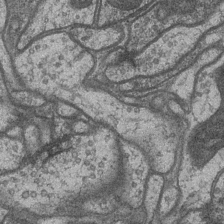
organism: Drosophila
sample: Optic medulla